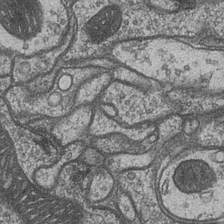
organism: Drosophila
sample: Optic medulla